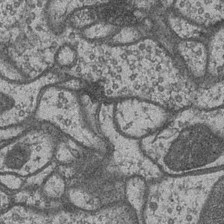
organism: Drosophila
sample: Optic medulla